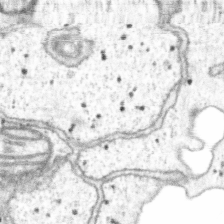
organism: Human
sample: HeLa cells